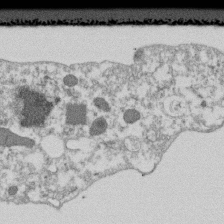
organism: Dictyostelium discoideum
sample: Dictyostelium multivesicular bodies